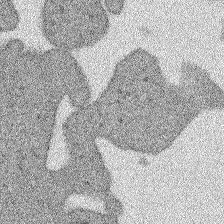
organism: Human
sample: HeLa cells